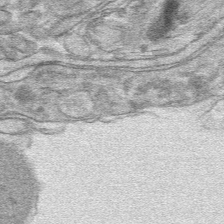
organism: Mouse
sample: Mouse hepatocytes